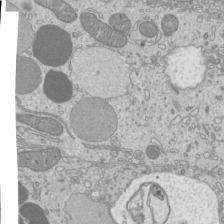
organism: Mouse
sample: Cilia; mouse epididymis